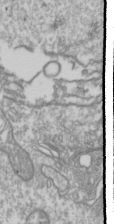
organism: Drosophila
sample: Cell division; meiosis; drosophila spermatocytes